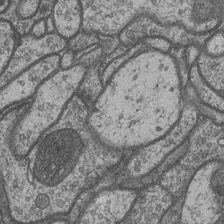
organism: Drosophila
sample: Optic medulla